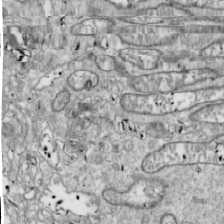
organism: Drosophila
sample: Cell division; meiosis; drosophila spermatocytes